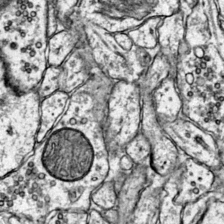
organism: Mouse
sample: Primary visual cortex